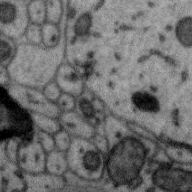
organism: Zebra finch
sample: Brain